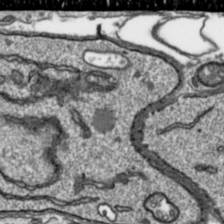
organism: Toxoplasma gondii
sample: Parasites in a vacuole inside a host cell